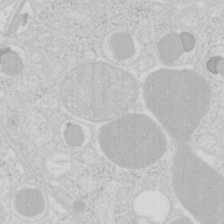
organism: Mouse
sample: Pancreas